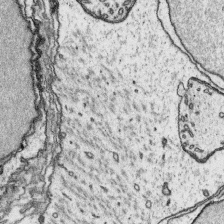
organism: Platynereis dumerilii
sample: Parapodia